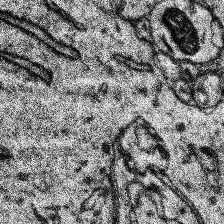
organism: Human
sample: Temporal Lobe